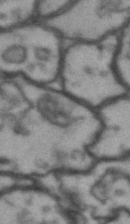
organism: Drosophila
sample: Brain